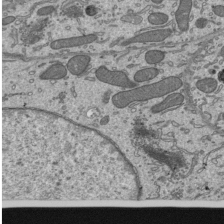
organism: Mouse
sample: Mouse epididymis efferent ductule cilia